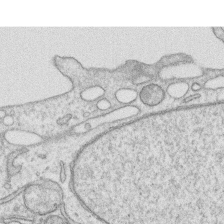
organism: Human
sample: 1205lu cells